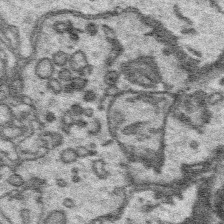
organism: Platynereis dumerilii